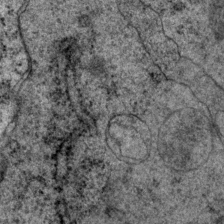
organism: P. pacificus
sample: Pharynx